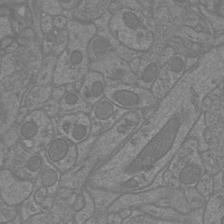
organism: Mouse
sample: Cortical neurons